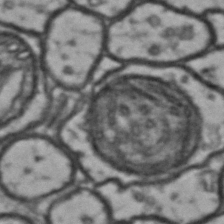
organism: Drosophila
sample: Brain